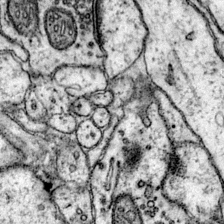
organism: Mouse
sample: Primary visual cortex